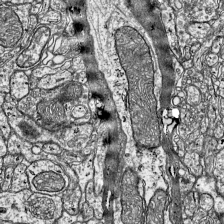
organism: Mouse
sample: Visual Cortex